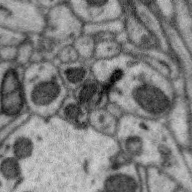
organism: Zebra finch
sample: Brain